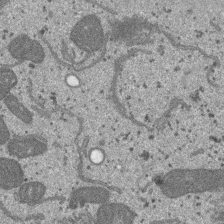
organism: Human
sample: Lung epithelial cells infected with SARS-CoV-2